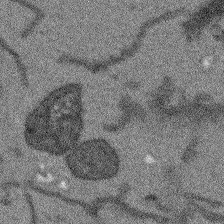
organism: Arabidopsis thaliana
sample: Root tip